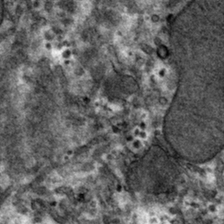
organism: Mouse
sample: Mouse hepatocytes